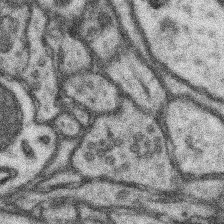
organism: Mouse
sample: Somatosensory cortex neuropil